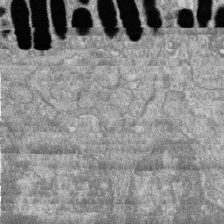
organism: Zebrafish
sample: Cilia; retinal pigment epithelium